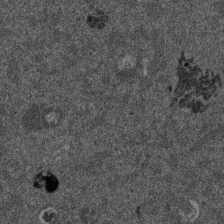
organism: Mouse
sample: Dividing mouse embryo 1 cell stage